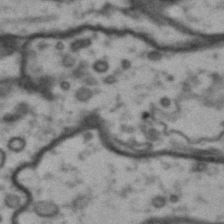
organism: Drosophila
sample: Brain